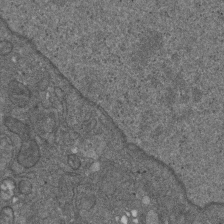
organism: Drosophila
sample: Nephrocyte